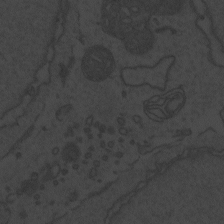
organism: Zebrafish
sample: Macrophage infected with Toxoplasma gondii